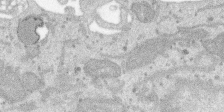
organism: Human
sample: Lung epithelial cells infected with SARS-CoV-2